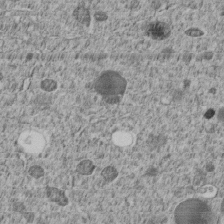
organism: C. elegans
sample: C. elegans embryo early stage